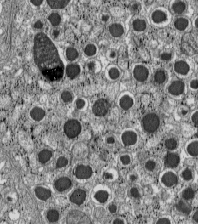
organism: C57BL Mouse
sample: Pancreatic islet